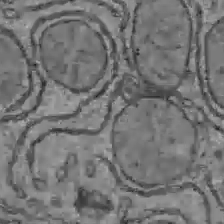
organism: C57BL Mouse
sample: Liver